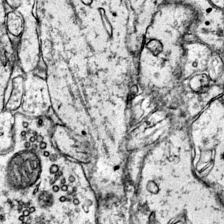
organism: Mouse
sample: Primary visual cortex